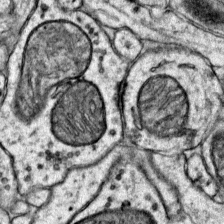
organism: Mouse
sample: Primary visual cortex